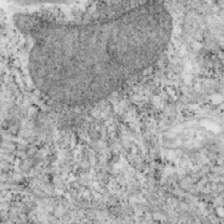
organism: Mouse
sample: OT-I killer T cells with ID8 ovarian cancer cells